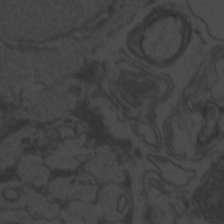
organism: Zebrafish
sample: Macrophage infected with Toxoplasma gondii